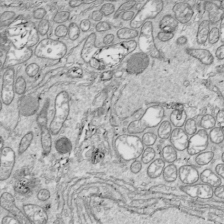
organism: Drosophila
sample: Cell division; meiosis; drosophila spermatocytes